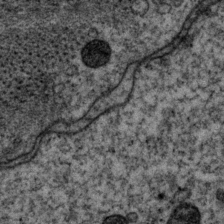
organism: P. pacificus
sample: Pharynx